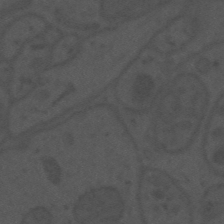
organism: Mouse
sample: Suprachiasmatic nucleus